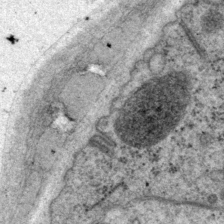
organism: P. pacificus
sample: Pharynx